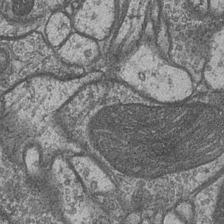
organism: Drosophila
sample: Optic medulla